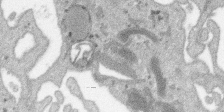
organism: Human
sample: Lung epithelial cells infected with SARS-CoV-2